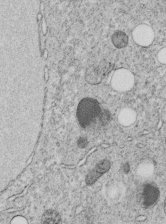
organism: C. elegans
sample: C. elegans embryo early stage